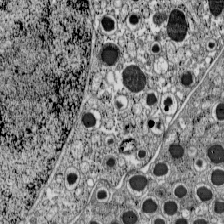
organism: C57BL Mouse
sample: Pancreatic islet